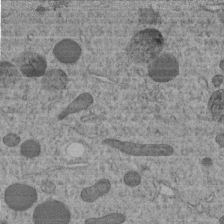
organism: C. elegans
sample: C. elegans embryo early stage